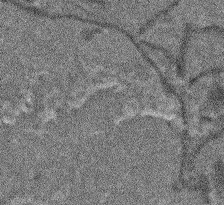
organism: Arabidopsis thaliana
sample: Root tip